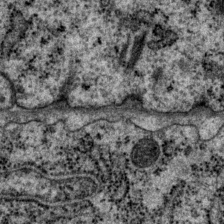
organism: P. pacificus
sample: Pharynx